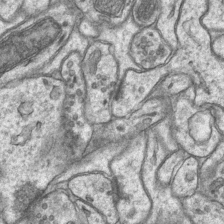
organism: Mouse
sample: CA1 Hippocampus